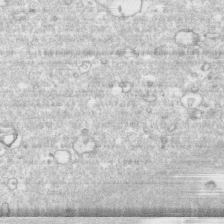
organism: Human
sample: CRL-1474